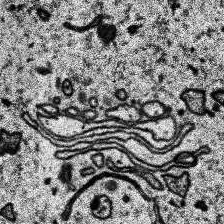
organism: Human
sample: Temporal Lobe